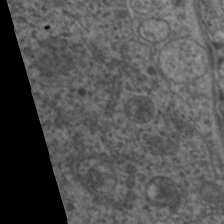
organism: C. elegans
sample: Pharynx